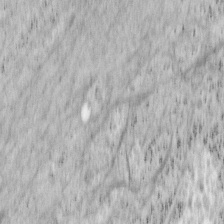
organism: Human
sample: HeLa cells